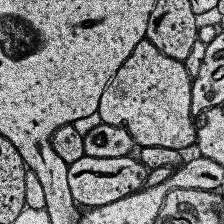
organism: Human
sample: Temporal Lobe